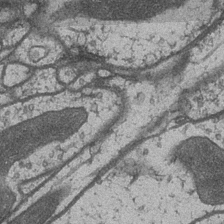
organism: Drosophila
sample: Optic medulla